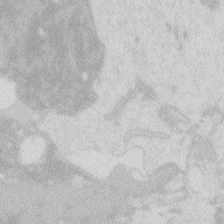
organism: Zebrafish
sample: Macrophage